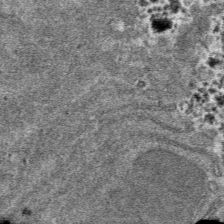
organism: Mouse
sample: Mouse hepatocytes